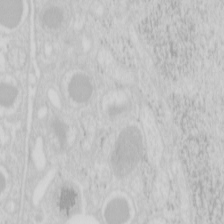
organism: Mouse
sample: Pancreas